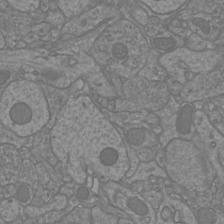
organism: Mouse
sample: Cortical neurons